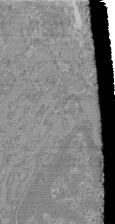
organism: Mouse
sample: Glomerulus